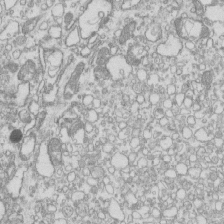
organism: Mouse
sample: Macrophages